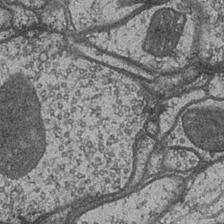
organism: Drosophila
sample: Optic medulla